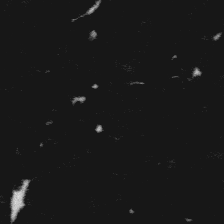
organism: Platynereis dumerilii